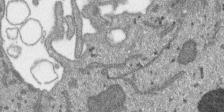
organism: Human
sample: Lung epithelial cells infected with SARS-CoV-2